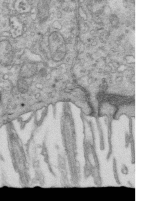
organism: Mouse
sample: Multiciliated cells